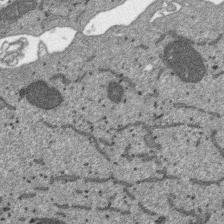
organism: Human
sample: Lung epithelial cells infected with SARS-CoV-2